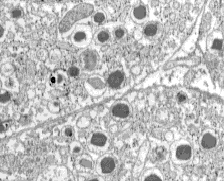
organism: C57BL Mouse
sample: Pancreatic islet